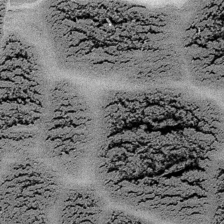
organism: Embia sp.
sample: Silk gland